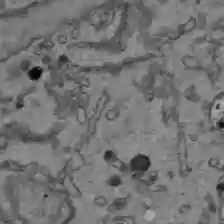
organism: C57BL Mouse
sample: Liver